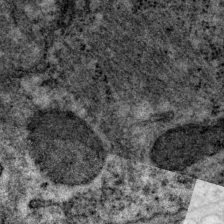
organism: P. pacificus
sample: Pharynx